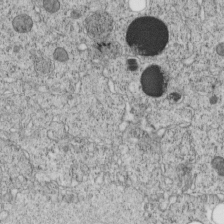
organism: C. elegans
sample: C. elegans embryo early stage